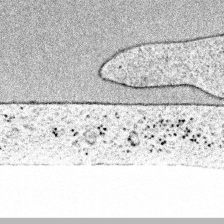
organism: Human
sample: HeLa cells